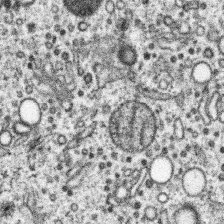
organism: Human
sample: HeLa cells